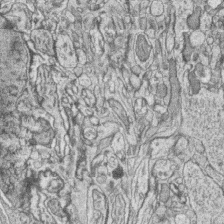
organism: Zebrafish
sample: synaptic ribbons in rod cells and cone cells